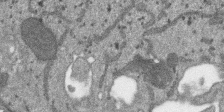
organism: Human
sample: Lung epithelial cells infected with SARS-CoV-2